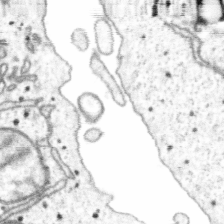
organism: Human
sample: HeLa cells